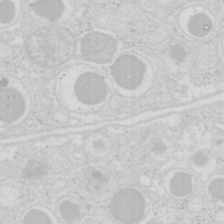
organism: Mouse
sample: Pancreas